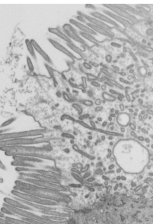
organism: Mouse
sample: Mouse epididymis efferent ductule cilia